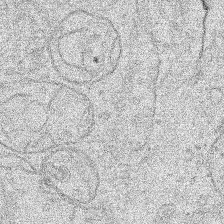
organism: Human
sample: Mitochondria in HCT116 cells